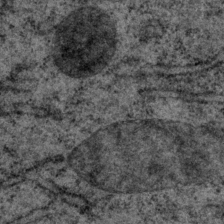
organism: P. pacificus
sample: Pharynx